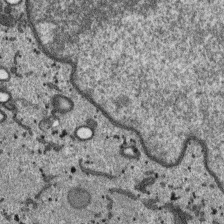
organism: Human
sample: Lung epithelial cells infected with SARS-CoV-2